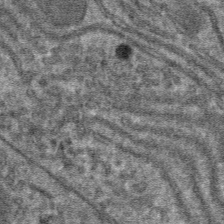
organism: Mouse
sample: Mouse hepatocytes